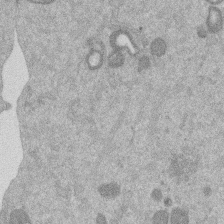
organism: Mouse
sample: Dividing mouse embryo 1 cell stage